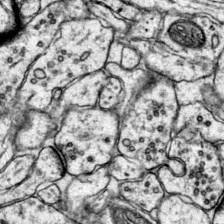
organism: Mouse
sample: Primary visual cortex